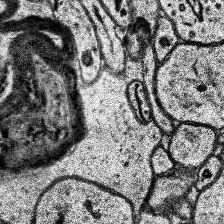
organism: Human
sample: Temporal Lobe